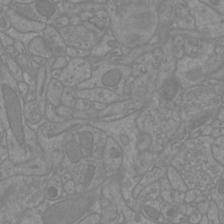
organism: Mouse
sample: Cortical neurons